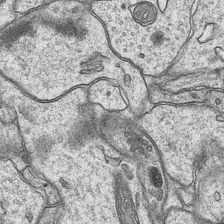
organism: Mouse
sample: CA1 Hippocampus